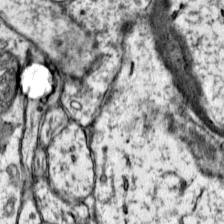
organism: Mouse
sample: Primary visual cortex